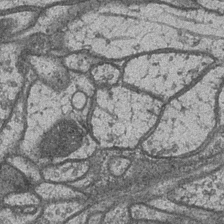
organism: Drosophila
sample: Optic medulla